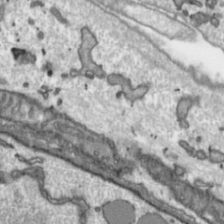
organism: Toxoplasma gondii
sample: Parasites in a vacuole inside a host cell